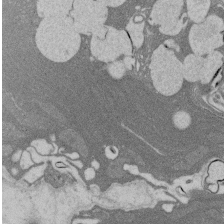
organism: Rat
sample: Salivary granule